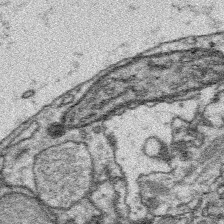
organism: Platynereis dumerilii